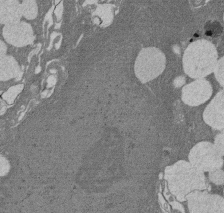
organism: Rat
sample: Salivary granule